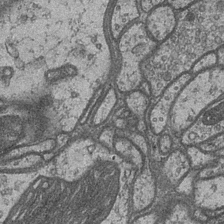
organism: Drosophila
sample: Optic medulla